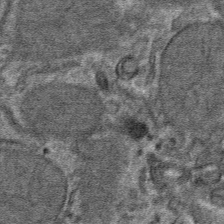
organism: Mouse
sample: Mouse hepatocytes